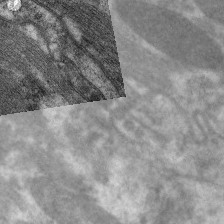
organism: C. elegans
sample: Pharynx